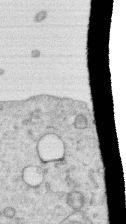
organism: Human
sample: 1205lu cells